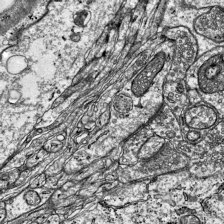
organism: Mouse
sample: Visual Cortex